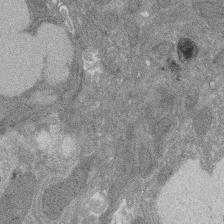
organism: Rat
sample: Salivary granule